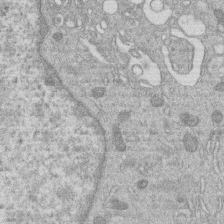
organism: Human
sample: Macrophage cells